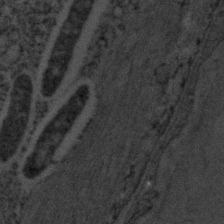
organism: C. elegans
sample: C. elegans embryo